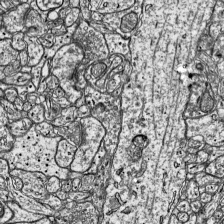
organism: Mouse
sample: Visual Cortex